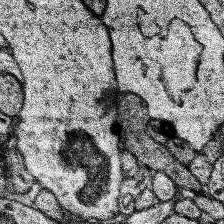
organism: Human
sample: Temporal Lobe